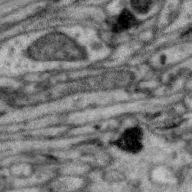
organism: Zebra finch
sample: Brain